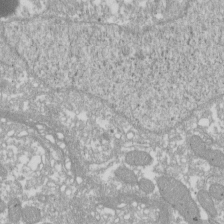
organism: Xenopus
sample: Cilia; centrioles in frog embryo cells